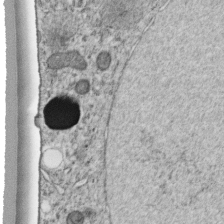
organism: C. elegans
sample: C. elegans embryo early stage